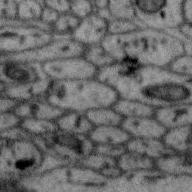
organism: Zebra finch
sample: Brain